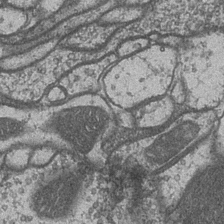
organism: Drosophila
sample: Optic medulla